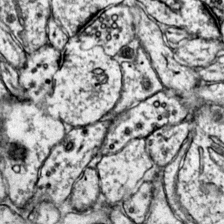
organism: Mouse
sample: Primary visual cortex